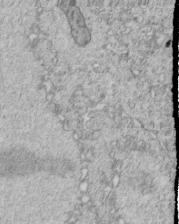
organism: C. elegans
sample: C. elegans embryo early stage